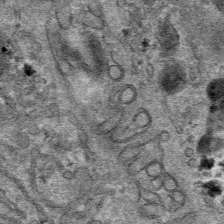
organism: Mouse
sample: Mouse hepatocytes